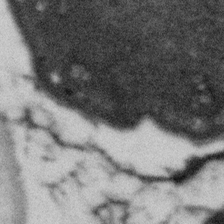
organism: Gemmata obscuriglobus